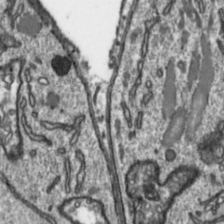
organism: Toxoplasma gondii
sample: Parasites in a vacuole inside a host cell